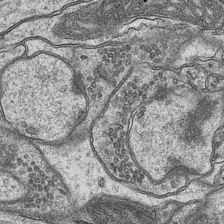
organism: Mouse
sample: CA1 Hippocampus